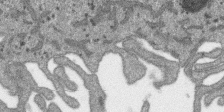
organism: Human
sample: Lung epithelial cells infected with SARS-CoV-2